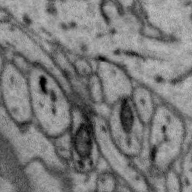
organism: Zebra finch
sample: Brain